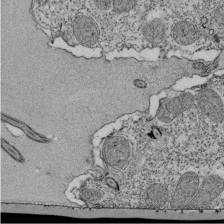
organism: Tetrahymena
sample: Cilia in tetrahymena